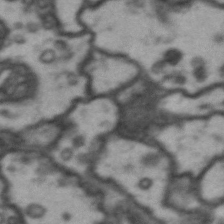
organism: Drosophila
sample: Brain